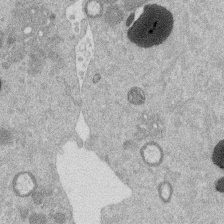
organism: Mouse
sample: Dividing mouse embryo 1 cell stage